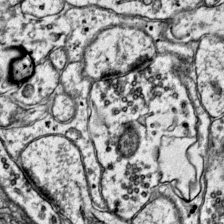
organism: Mouse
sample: Primary visual cortex